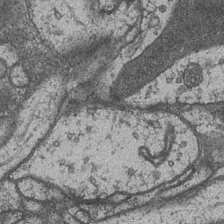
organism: Drosophila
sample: Optic medulla